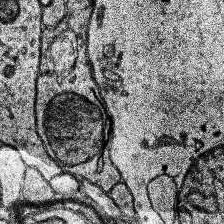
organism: Human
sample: Temporal Lobe